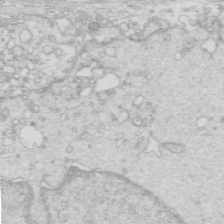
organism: Mouse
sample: Multiciliated cells